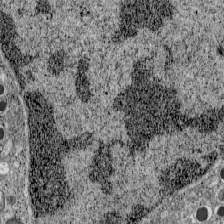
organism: C57BL Mouse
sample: Pancreatic islet